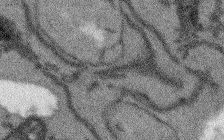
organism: Arabidopsis thaliana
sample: Root tip